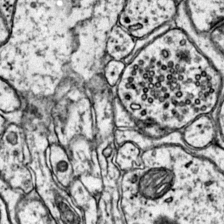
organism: Mouse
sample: Primary visual cortex